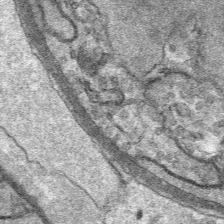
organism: Mouse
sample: Mouse Salivary gland